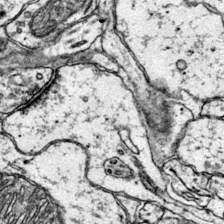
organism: Mouse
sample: Primary visual cortex